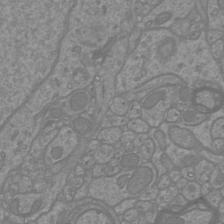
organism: Mouse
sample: Cortical neurons